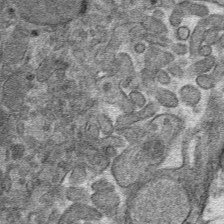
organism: Mouse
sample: Mouse hepatocytes